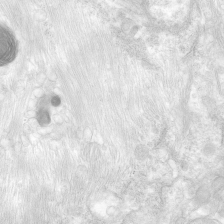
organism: Human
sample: Neocortex